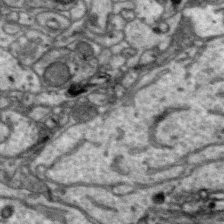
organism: Zebra finch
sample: Brain